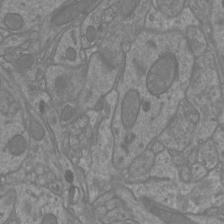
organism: Mouse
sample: Cortical neurons